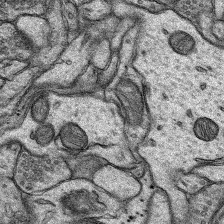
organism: Rat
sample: Hippocampus